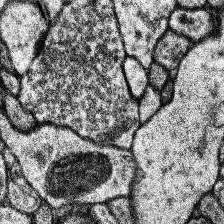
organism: Human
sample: Temporal Lobe